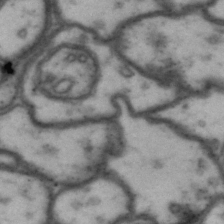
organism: Drosophila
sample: Brain